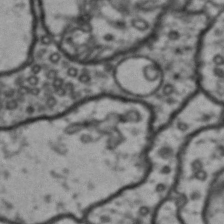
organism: Drosophila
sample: Brain